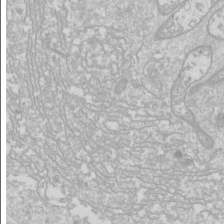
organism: Drosophila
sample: Cell division; meiosis; drosophila spermatocytes